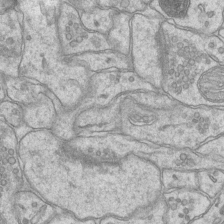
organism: Mouse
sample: CA1 Hippocampus